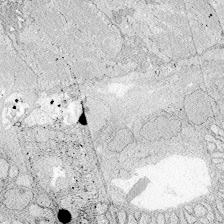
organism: Zebrafish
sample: Whole-Brain